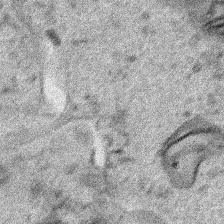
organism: Human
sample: Mitochondria in HCT116 cells